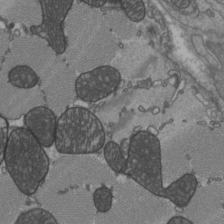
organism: C57BL Mouse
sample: Heart